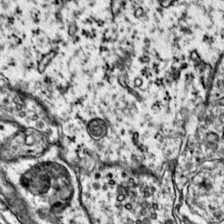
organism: Mouse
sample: Primary visual cortex